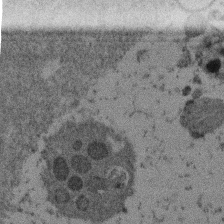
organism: Mouse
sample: Dividing mouse embryo 1 cell stage